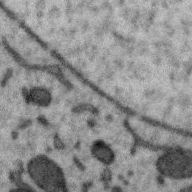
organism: Zebra finch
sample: Brain